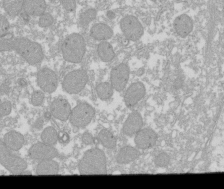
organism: Xenopus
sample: Cilia; centrioles in frog embryo cells